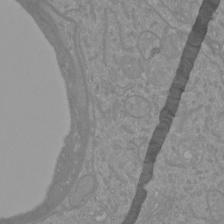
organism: Mouse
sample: Cortical neurons